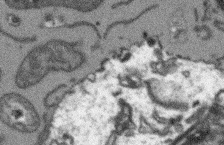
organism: Arabidopsis thaliana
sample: Root tip